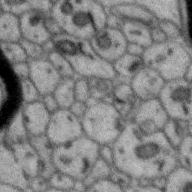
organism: Zebra finch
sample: Brain